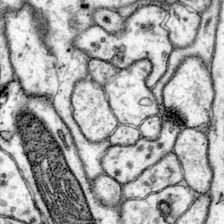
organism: Mouse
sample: Primary visual cortex